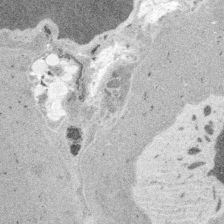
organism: Embia sp.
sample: Silk gland